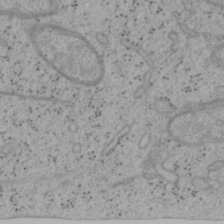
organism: Human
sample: HeLa cells